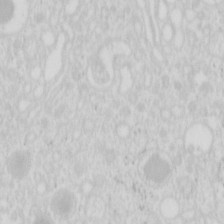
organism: Mouse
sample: Pancreas